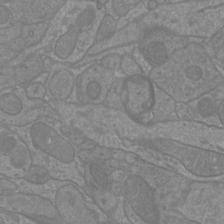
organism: Mouse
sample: Cortical neurons